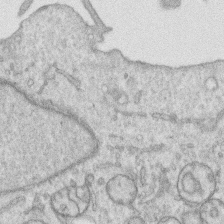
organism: Human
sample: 1205lu cells